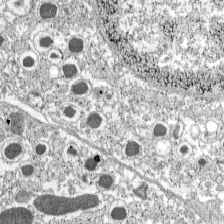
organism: C57BL Mouse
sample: Pancreatic islet